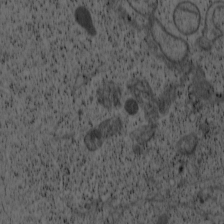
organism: African green monkey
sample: COS-7 cells